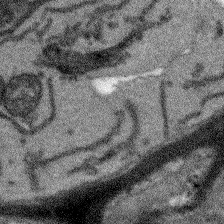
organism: Arabidopsis thaliana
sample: Root tip